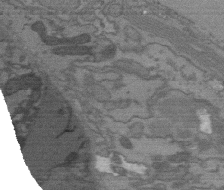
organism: C. elegans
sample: AFD neurons C. elegans